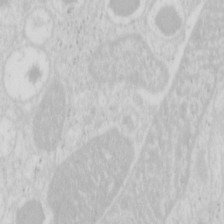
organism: Mouse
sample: Pancreas